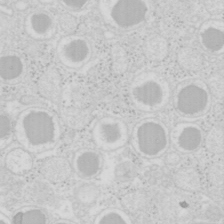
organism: Mouse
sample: Pancreas